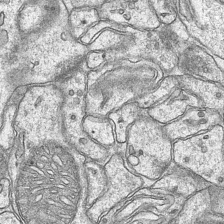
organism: Mouse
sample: CA1 Hippocampus